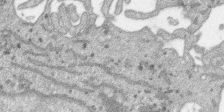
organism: Human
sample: Lung epithelial cells infected with SARS-CoV-2